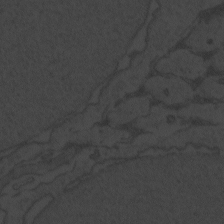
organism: Zebrafish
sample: Macrophage infected with Toxoplasma gondii